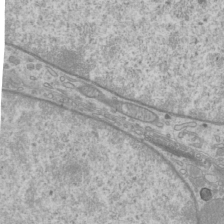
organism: Mouse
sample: Cilia; mouse epididymis